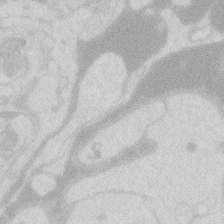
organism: Zebrafish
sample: Macrophage